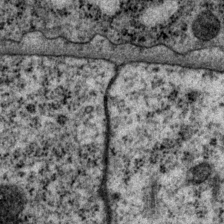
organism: P. pacificus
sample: Pharynx